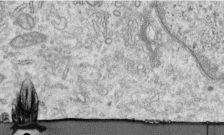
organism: Human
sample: Centriole in RPE cells